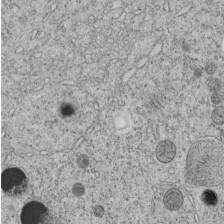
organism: C. elegans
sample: C. elegans embryo early stage